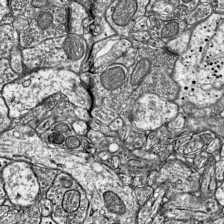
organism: Mouse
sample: Visual Cortex